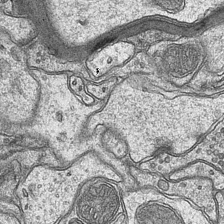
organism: Mouse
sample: CA1 Hippocampus